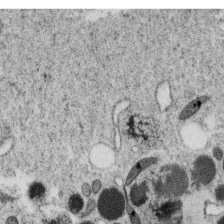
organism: C. elegans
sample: C. elegans oocyte; sperm cells